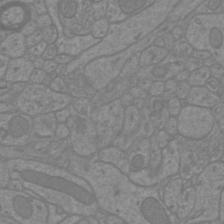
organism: Mouse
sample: Cortical neurons